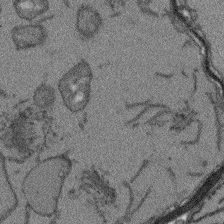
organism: Arabidopsis thaliana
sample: Root tip